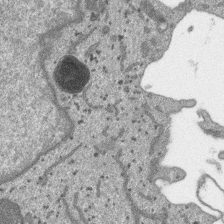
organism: Human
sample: Lung epithelial cells infected with SARS-CoV-2